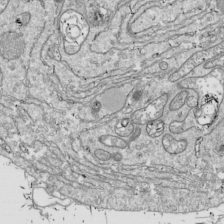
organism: Drosophila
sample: Cell division; meiosis; drosophila spermatocytes